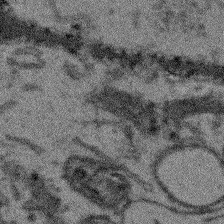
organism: Arabidopsis thaliana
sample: Root tip